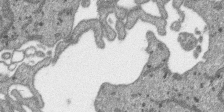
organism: Human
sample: Lung epithelial cells infected with SARS-CoV-2